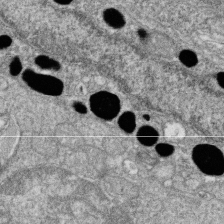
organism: Zebrafish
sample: Cilia; retinal pigment epithelium